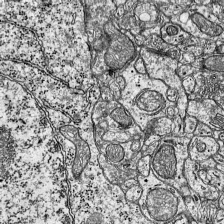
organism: Mouse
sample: Visual Cortex